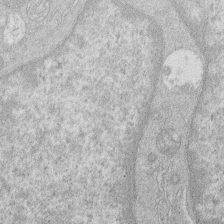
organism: Human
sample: Macrophage cells